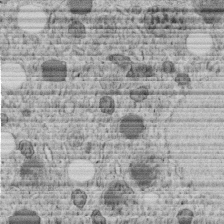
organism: C. elegans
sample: C. elegans embryo early stage